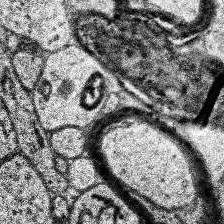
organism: Human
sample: Temporal Lobe